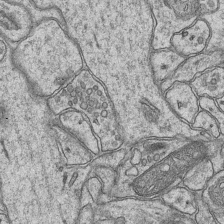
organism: Mouse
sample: CA1 Hippocampus